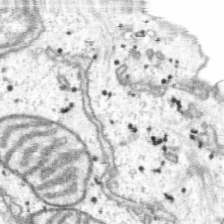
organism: Human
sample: HeLa cells